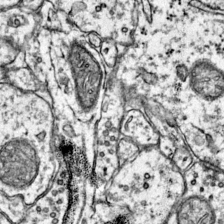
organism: Mouse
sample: Primary visual cortex